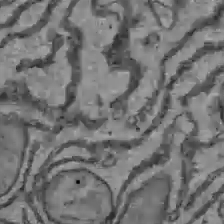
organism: C57BL Mouse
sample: Liver